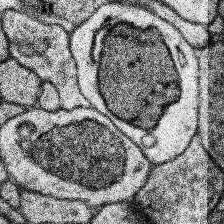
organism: Human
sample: Temporal Lobe